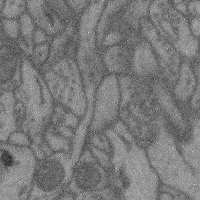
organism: Mouse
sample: Cerebral cortex